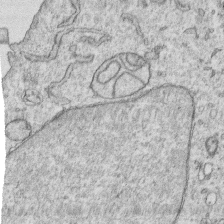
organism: Human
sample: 1205lu cells